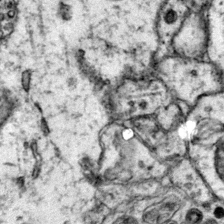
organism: Mouse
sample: Primary visual cortex